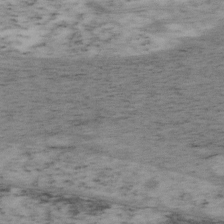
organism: Mouse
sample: OT-I killer T cells with ID8 ovarian cancer cells